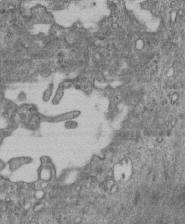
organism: Mouse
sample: Centriole in ependymal cells